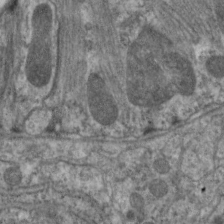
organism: C. elegans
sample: Pharynx